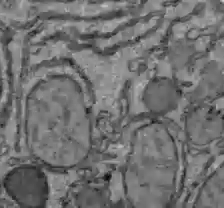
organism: C57BL Mouse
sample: Liver